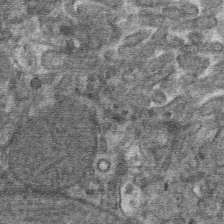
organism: Mouse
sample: Mouse hepatocytes